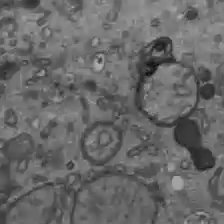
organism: C57BL Mouse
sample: Liver